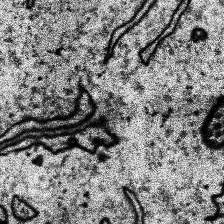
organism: Human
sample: Temporal Lobe